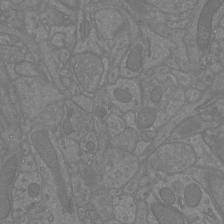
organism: Mouse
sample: Cortical neurons